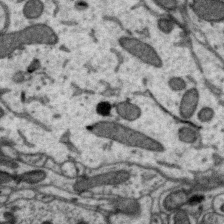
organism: Zebra finch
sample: Brain